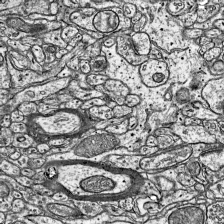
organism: Mouse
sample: Visual Cortex